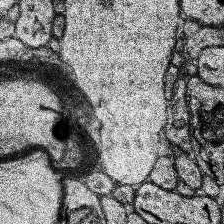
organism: Human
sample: Temporal Lobe